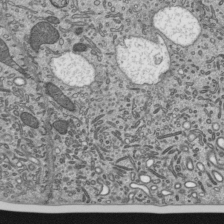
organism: Mouse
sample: Mouse epididymis efferent ductule cilia